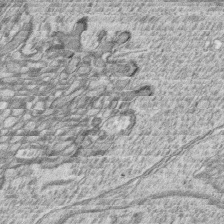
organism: Zebrafish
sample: synaptic ribbons in rod cells and cone cells